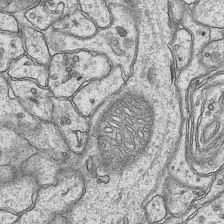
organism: Mouse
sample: CA1 Hippocampus